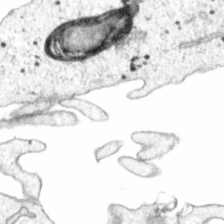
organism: Human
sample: HeLa cells